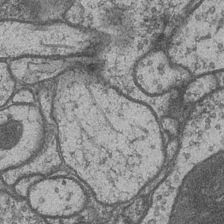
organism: Drosophila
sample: Optic medulla